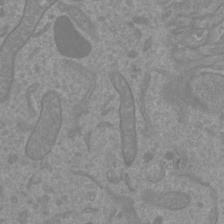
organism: Mouse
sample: Cortical neurons